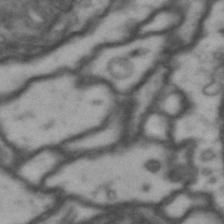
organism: Drosophila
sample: Brain